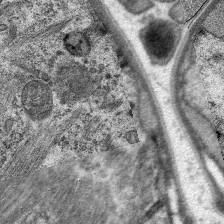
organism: C. elegans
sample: Pharynx